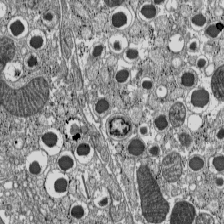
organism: C57BL Mouse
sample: Pancreatic islet